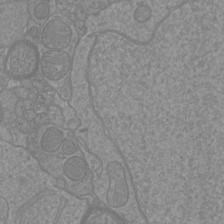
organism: Mouse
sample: Cortical neurons